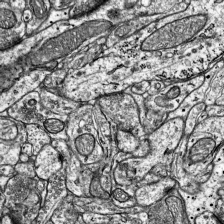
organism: Mouse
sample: Visual Cortex